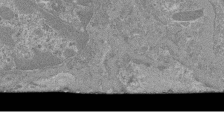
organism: Mouse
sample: Glomerulus